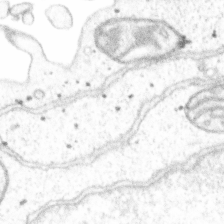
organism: Human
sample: HeLa cells